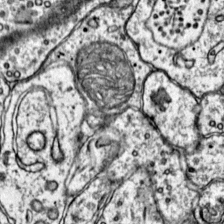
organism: Mouse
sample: Primary visual cortex